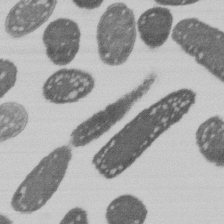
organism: E. coli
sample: Bacterial nucleoid